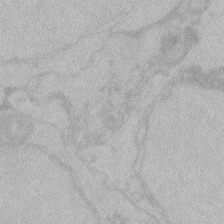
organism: Zebrafish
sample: Macrophage infected with Toxoplasma gondii